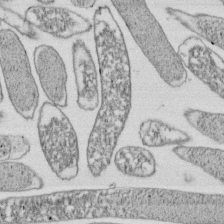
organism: E. coli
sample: Bacterial nucleoid